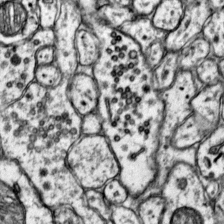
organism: Mouse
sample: Primary visual cortex